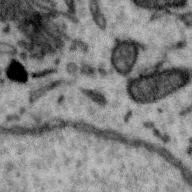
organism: Zebra finch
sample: Brain